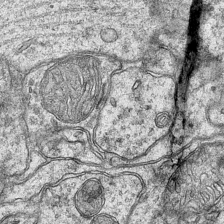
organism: Mouse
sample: CA1 Hippocampus